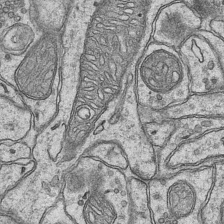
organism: Mouse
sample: CA1 Hippocampus